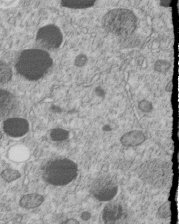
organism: C. elegans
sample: C. elegans embryo early stage